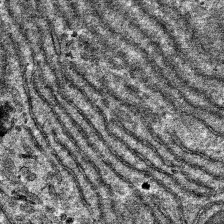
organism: Mouse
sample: Mouse hepatocytes